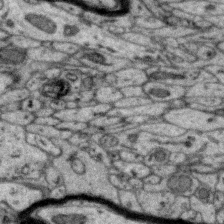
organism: Zebra finch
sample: Brain